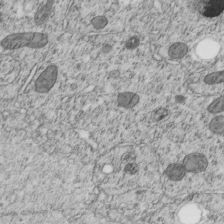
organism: C. elegans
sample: C. elegans embryo early stage